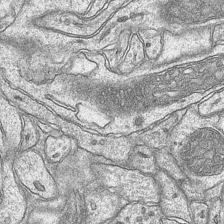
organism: Mouse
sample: CA1 Hippocampus